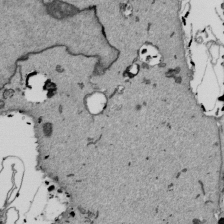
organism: Mouse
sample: ED-1 cell nuclei; centrioles